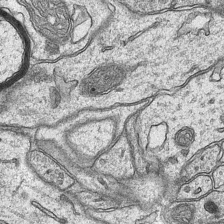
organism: Mouse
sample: CA1 Hippocampus